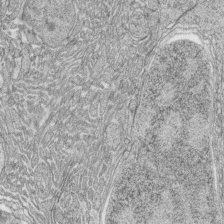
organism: Zebrafish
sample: synaptic ribbons in rod cells and cone cells